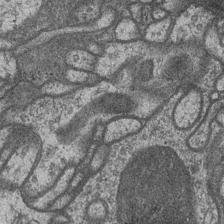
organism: Drosophila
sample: Optic medulla